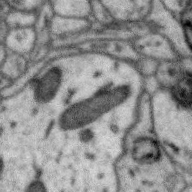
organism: Zebra finch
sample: Brain